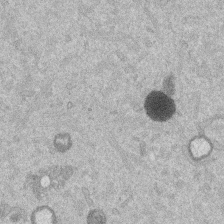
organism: Mouse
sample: Dividing mouse embryo 1 cell stage